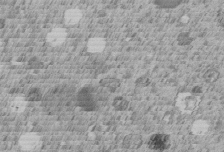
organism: C. elegans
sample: C. elegans embryo early stage